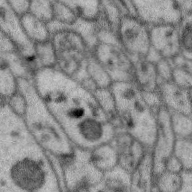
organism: Zebra finch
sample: Brain